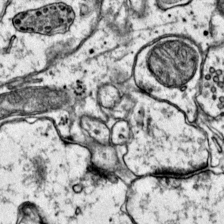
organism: Mouse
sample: Primary visual cortex